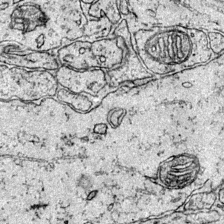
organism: Mouse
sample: Primary visual cortex